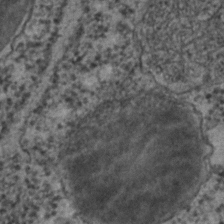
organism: C. elegans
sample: C. elegans embryo